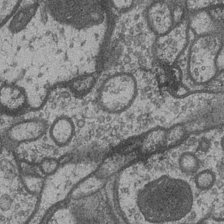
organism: Drosophila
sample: Optic medulla